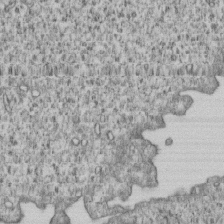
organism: Human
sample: MDA-MB-231 cells